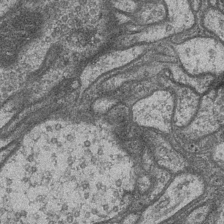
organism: Drosophila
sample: Optic medulla